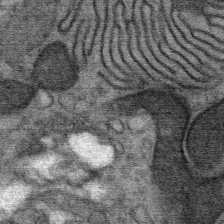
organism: Mouse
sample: Mouse Salivary gland